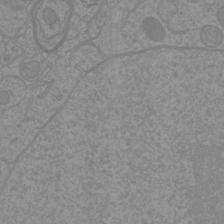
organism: Mouse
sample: Cortical neurons